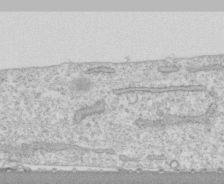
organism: Human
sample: CRL-1474